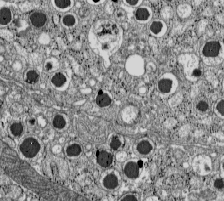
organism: C57BL Mouse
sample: Pancreatic islet